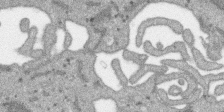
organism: Human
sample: Lung epithelial cells infected with SARS-CoV-2